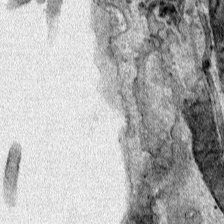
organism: Human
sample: Mitochondria in HCT116 cells